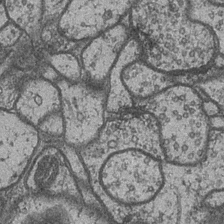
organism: Drosophila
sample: Optic medulla